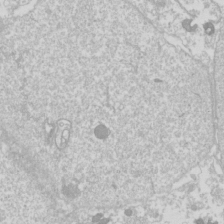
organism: Drosophila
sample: Cell division; meiosis; drosophila spermatocytes